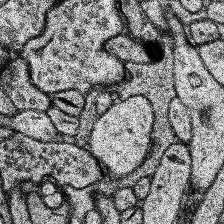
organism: Human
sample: Temporal Lobe